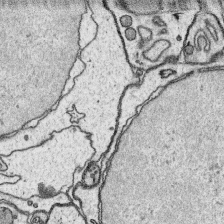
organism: Platynereis dumerilii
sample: Parapodia